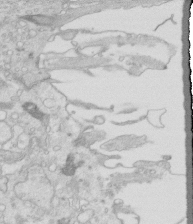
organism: Mouse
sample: Multiciliated cells